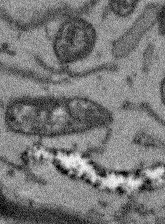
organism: Arabidopsis thaliana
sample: Root tip